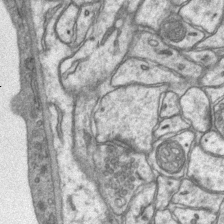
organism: Mouse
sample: CA1 Hippocampus